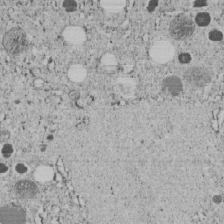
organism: C. elegans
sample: C. elegans embryo early stage